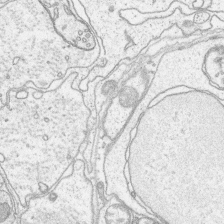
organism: Platynereis dumerilii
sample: Parapodia